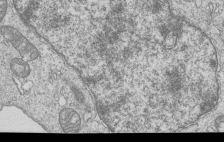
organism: Human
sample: MDA-MB-231 cells